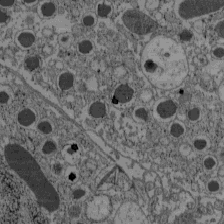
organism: C57BL Mouse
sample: Pancreatic islet